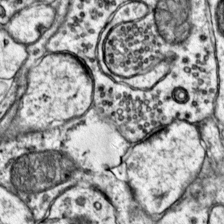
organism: Mouse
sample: Primary visual cortex